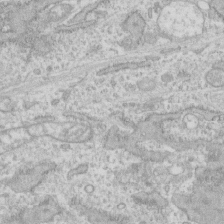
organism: Human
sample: CRL-1474